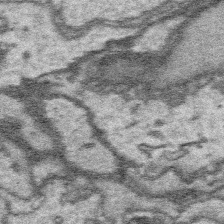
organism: Platynereis dumerilii